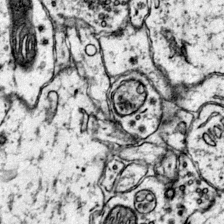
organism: Mouse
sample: Primary visual cortex